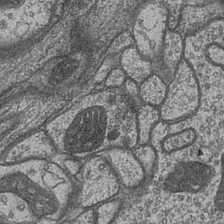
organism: Drosophila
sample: Optic medulla